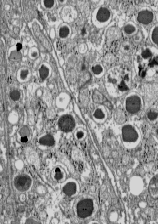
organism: C57BL Mouse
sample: Pancreatic islet